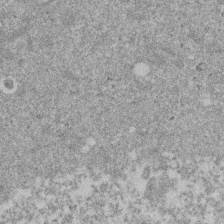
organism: Mouse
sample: Dividing mouse embryo 1 cell stage